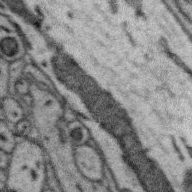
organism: Zebra finch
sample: Brain